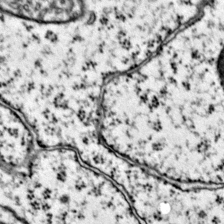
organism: Mouse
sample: Primary visual cortex